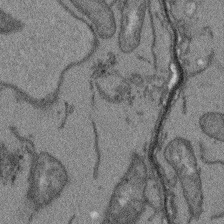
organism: Arabidopsis thaliana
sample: Root tip